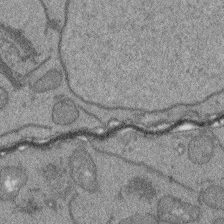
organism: Arabidopsis thaliana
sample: Root tip